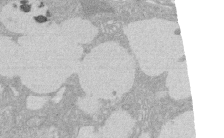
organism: Rat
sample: Salivary granule